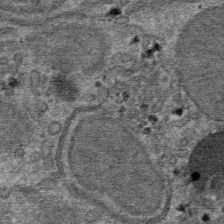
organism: Mouse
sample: Mouse hepatocytes